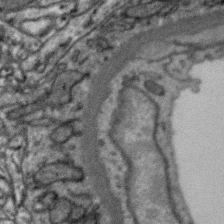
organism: Zebra finch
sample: Brain